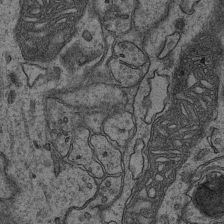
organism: Mouse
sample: CA1 Hippocampus